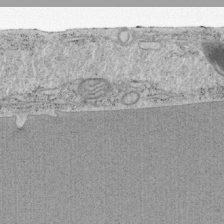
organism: Human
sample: HeLa cells